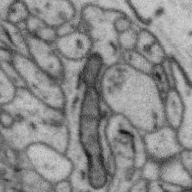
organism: Zebra finch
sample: Brain